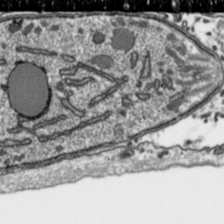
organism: Toxoplasma gondii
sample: Parasites in a vacuole inside a host cell